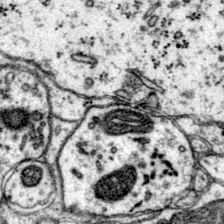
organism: Mouse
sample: Primary visual cortex